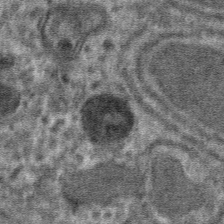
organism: Mouse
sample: Mouse hepatocytes